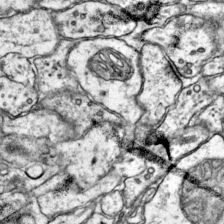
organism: Mouse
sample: Primary visual cortex